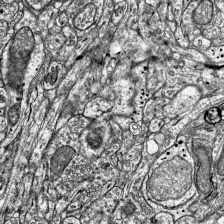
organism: Mouse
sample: Visual Cortex